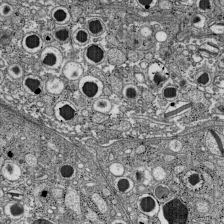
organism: C57BL Mouse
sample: Pancreatic islet